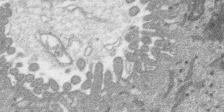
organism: Human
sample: Lung epithelial cells infected with SARS-CoV-2